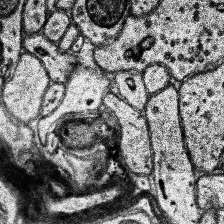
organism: Human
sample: Temporal Lobe